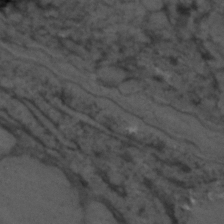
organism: C. elegans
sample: C. elegans embryo